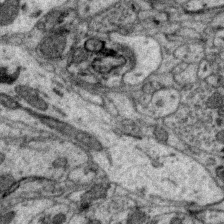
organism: Zebra finch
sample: Brain